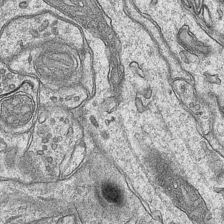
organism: Mouse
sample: CA1 Hippocampus